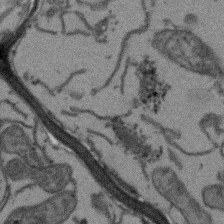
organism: Arabidopsis thaliana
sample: Root tip